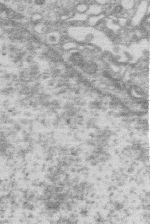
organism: Human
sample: Macrophage cells